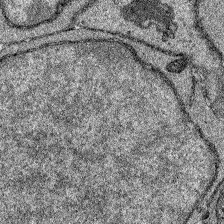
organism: Zebrafish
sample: Larval olfactory bulb